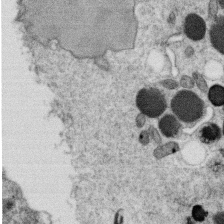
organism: C. elegans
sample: C. elegans oocyte; sperm cells